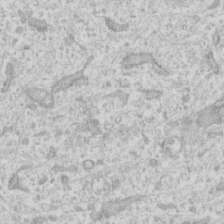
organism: Human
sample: Fibroblast cells